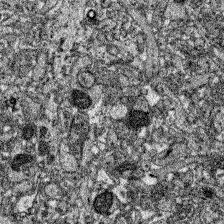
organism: Zebrafish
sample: Larval olfactory bulb